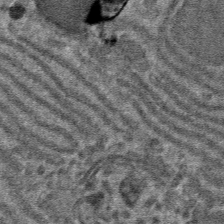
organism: Mouse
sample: Mouse hepatocytes